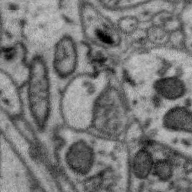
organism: Zebra finch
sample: Brain